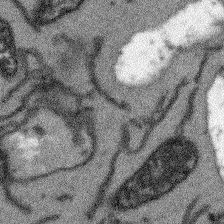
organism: Arabidopsis thaliana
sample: Root tip